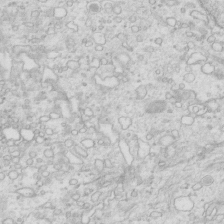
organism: Mouse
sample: Multiciliated cells